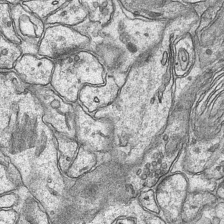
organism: Mouse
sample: CA1 Hippocampus